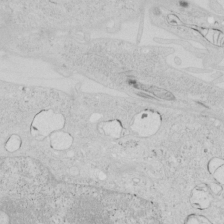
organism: Human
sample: Mitochondria in HCT116 cells